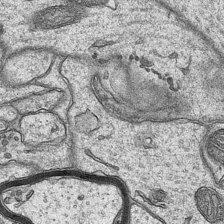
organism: Mouse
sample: CA1 Hippocampus